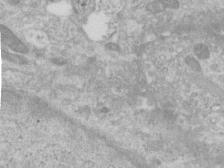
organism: Human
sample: Centriole in RPE cells